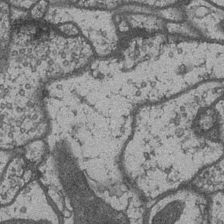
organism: Drosophila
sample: Optic medulla